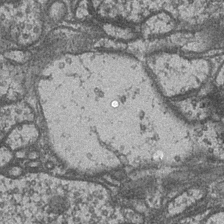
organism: Drosophila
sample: Optic medulla